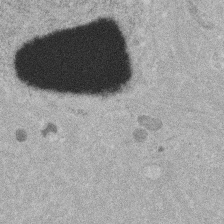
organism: Mouse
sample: Dividing mouse embryo 1 cell stage